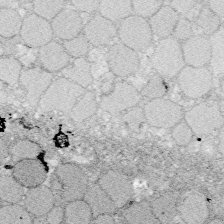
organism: Zebrafish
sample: Whole-Brain